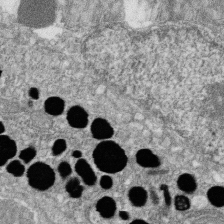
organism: Zebrafish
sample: Cilia; retinal pigment epithelium